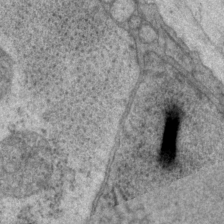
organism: P. pacificus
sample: Pharynx